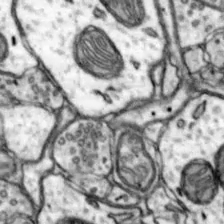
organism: Mouse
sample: Nucleus accumbens